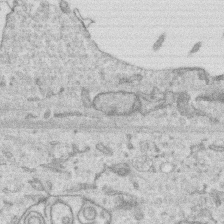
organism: Human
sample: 1205lu cells